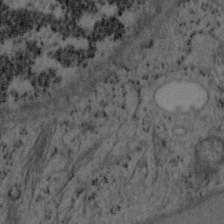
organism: Human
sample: HeLa cells